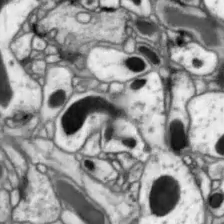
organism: Drosophila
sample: Optic lobe